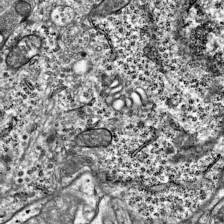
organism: Mouse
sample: Visual Cortex